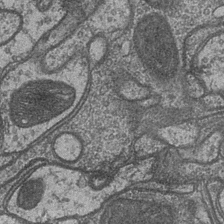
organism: Drosophila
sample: Optic medulla